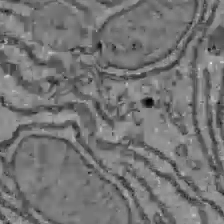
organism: C57BL Mouse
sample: Liver